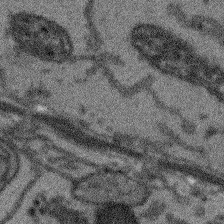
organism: Arabidopsis thaliana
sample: Root tip